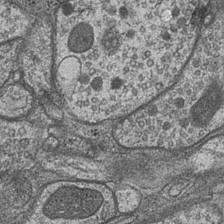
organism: Drosophila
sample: Optic medulla